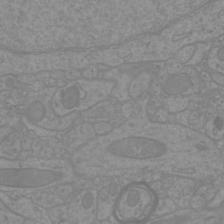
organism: Mouse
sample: Cortical neurons